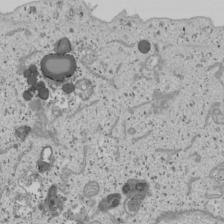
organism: Human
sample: Mitochondria in U2OS cells